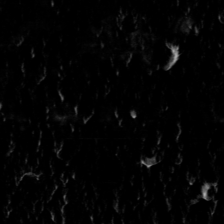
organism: Toxoplasma gondii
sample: Parasites in a vacuole inside a host cell